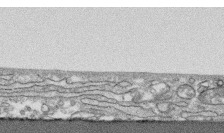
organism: Human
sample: CRL-1474